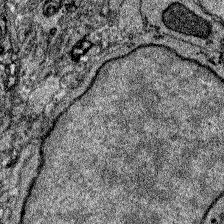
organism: Zebrafish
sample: Larval olfactory bulb